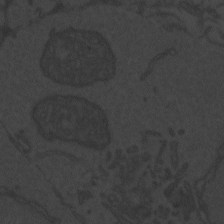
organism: Zebrafish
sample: Macrophage infected with Toxoplasma gondii